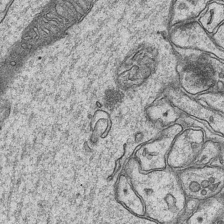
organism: Mouse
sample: CA1 Hippocampus